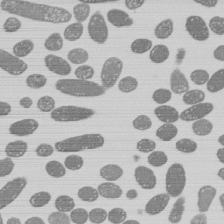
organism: E. coli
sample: Bacterial nucleoid